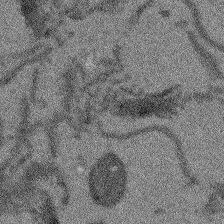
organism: Arabidopsis thaliana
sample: Root tip